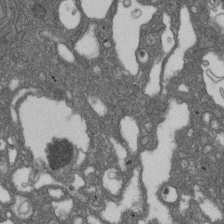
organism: Drosophila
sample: Nephrocyte